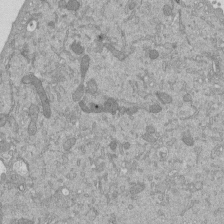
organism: Mouse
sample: ED-1 cell nuclei; centrioles